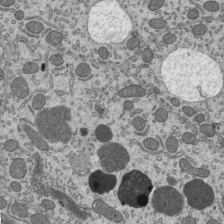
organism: Mouse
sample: Mouse epididymis efferent ductule cilia